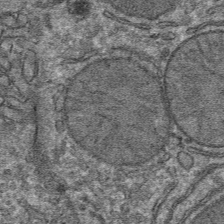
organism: Mouse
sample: Mouse hepatocytes